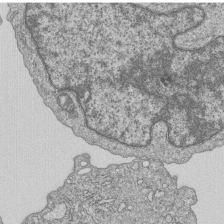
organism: Human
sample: MDA-MB-231 cells